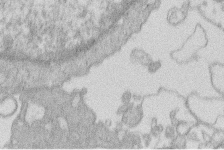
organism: Human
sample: Macrophage cells